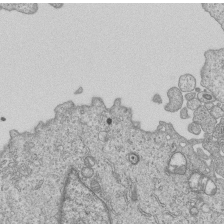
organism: Human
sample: MDA-MB-231 cells